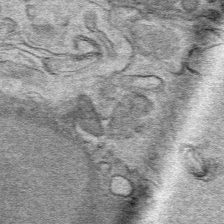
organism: Mouse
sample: Mouse hepatocytes